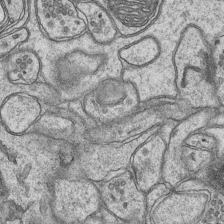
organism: Mouse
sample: CA1 Hippocampus